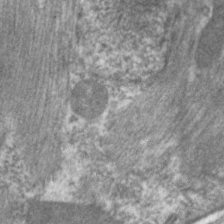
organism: C. elegans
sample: Pharynx